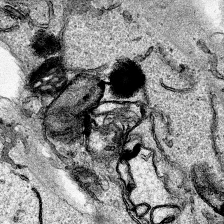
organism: Human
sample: Mitochondria in HCT116 cells